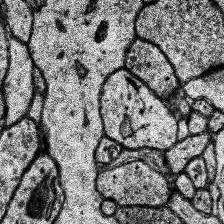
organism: Human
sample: Temporal Lobe